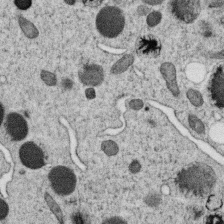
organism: C. elegans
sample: C. elegans oocyte; sperm cells